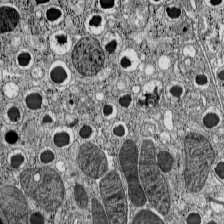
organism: C57BL Mouse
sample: Pancreatic islet